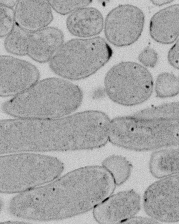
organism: E. coli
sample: Bacterial nucleoid